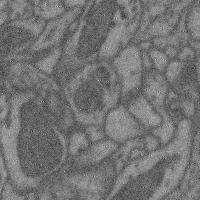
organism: Mouse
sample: Cerebral cortex